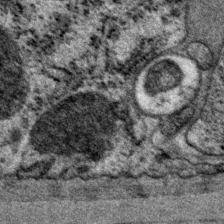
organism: P. pacificus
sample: Pharynx